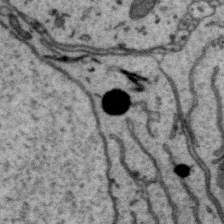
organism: Zebra finch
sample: Brain